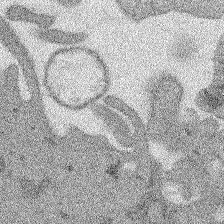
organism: Human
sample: HeLa cells